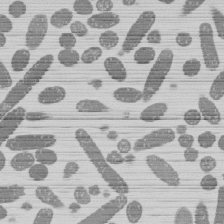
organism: E. coli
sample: Bacterial nucleoid